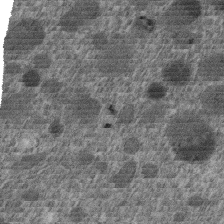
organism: C. elegans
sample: C. elegans embryo early stage